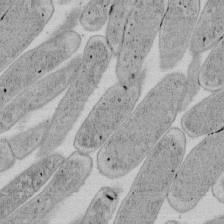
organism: E. coli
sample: Bacterial nucleoid